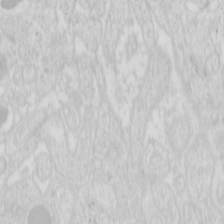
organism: Mouse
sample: Pancreas